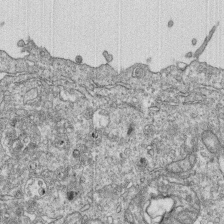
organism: Human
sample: HeLa cell HIV synapse